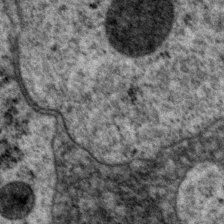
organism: P. pacificus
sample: Pharynx